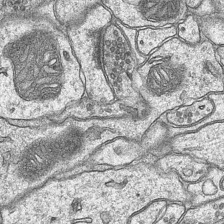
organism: Mouse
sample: CA1 Hippocampus